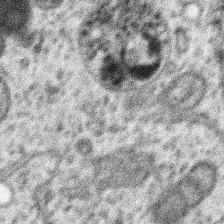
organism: Human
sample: HeLa cells